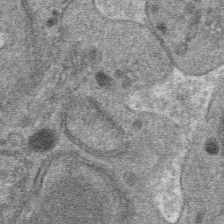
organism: Mouse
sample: Mouse hepatocytes